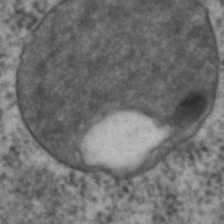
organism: C. elegans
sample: C. elegans embryo